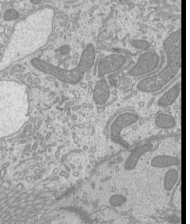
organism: Mouse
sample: Cilia; mouse epididymis